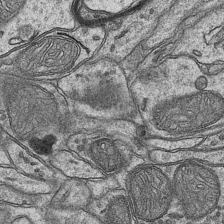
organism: Mouse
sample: CA1 Hippocampus